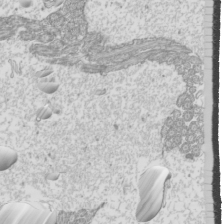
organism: Mouse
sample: Cilia; mouse epididymis